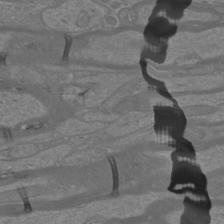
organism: Mouse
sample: Cortical neurons